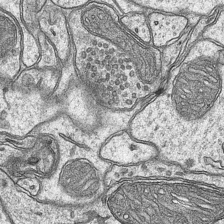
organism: Mouse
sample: CA1 Hippocampus